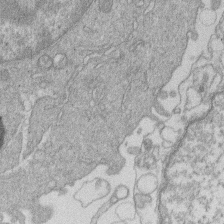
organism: Human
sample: Macrophage cells